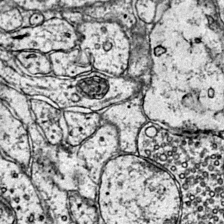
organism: Mouse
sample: Primary visual cortex